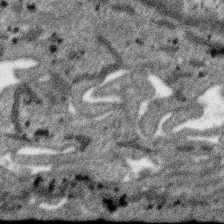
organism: Human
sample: Lung epithelial cells infected with SARS-CoV-2